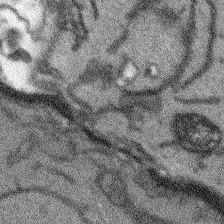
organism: Arabidopsis thaliana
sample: Root tip